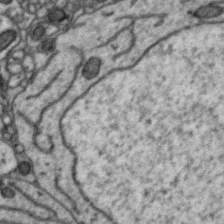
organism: Zebra finch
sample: Brain